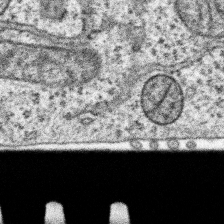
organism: Human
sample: HeLa cells